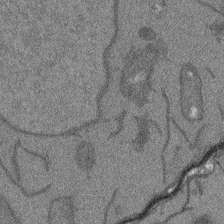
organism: Arabidopsis thaliana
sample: Root tip